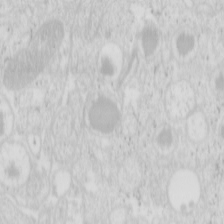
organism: Mouse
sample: Pancreas